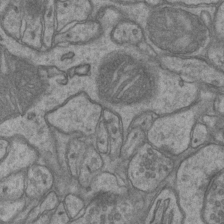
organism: Mouse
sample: CA1 Hippocampus